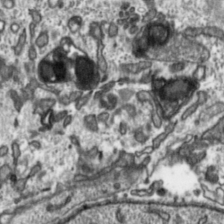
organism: Toxoplasma gondii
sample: Parasites in a vacuole inside a host cell